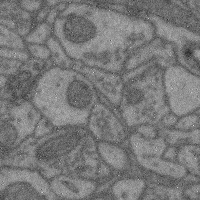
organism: Mouse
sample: Cerebral cortex